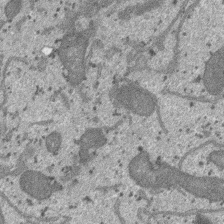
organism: Human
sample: Lung epithelial cells infected with SARS-CoV-2